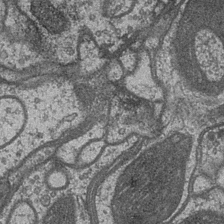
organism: Drosophila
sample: Optic medulla